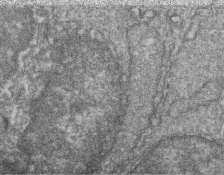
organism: Zebrafish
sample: Cilia; retinal pigment epithelium